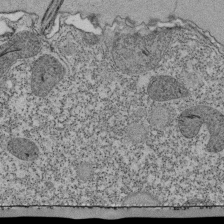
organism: Tetrahymena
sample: Cilia in tetrahymena